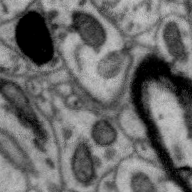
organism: Zebra finch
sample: Brain